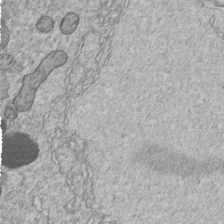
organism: C. elegans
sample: C. elegans embryo early stage